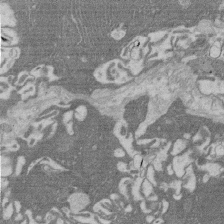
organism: Rat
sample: Salivary granule